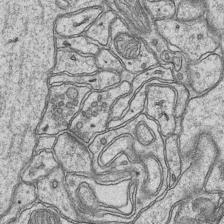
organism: Mouse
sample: CA1 Hippocampus